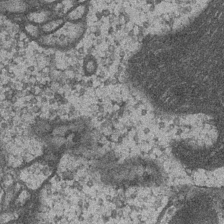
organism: Drosophila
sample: Optic medulla